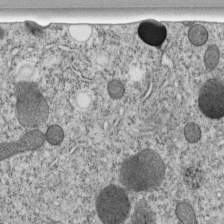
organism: C. elegans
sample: C. elegans embryo early stage